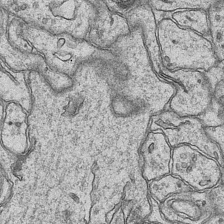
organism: Mouse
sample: CA1 Hippocampus